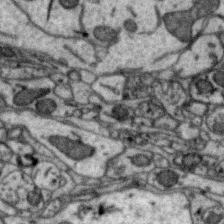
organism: Zebra finch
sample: Brain